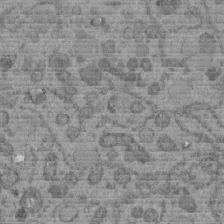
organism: C. elegans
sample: C. elegans embryo early stage